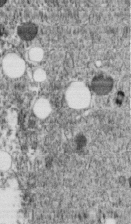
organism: C. elegans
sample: C. elegans embryo early stage